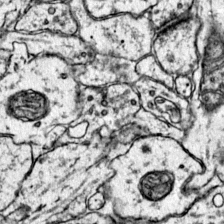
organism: Mouse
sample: Primary visual cortex